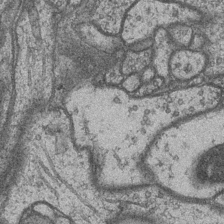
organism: Drosophila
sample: Optic medulla